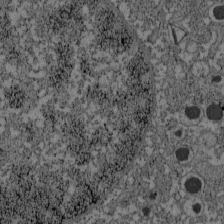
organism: C57BL Mouse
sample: Pancreatic islet